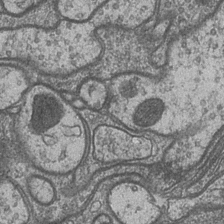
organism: Drosophila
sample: Optic medulla